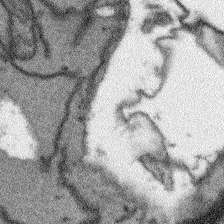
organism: Arabidopsis thaliana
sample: Root tip